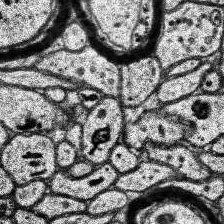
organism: Human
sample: Temporal Lobe